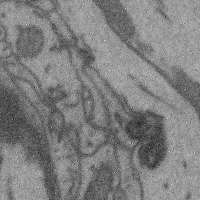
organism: Mouse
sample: Cerebral cortex